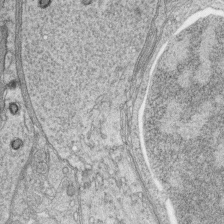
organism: Zebrafish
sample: synaptic ribbons in rod cells and cone cells